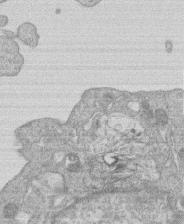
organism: Human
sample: Macrophage cells